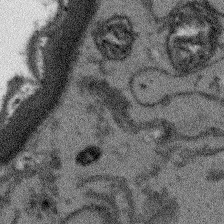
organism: Arabidopsis thaliana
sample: Root tip